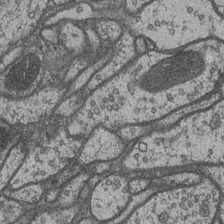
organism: Drosophila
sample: Optic medulla